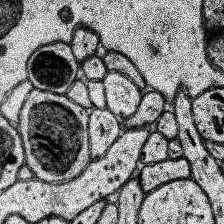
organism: Human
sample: Temporal Lobe